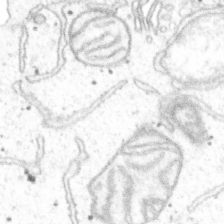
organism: Human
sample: HeLa cells